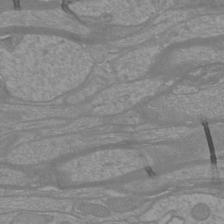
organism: Mouse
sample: Cortical neurons